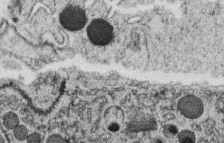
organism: C. elegans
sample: C. elegans oocyte; sperm cells